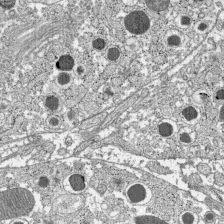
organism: C57BL Mouse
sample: Pancreatic islet